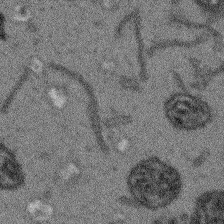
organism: Arabidopsis thaliana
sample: Root tip